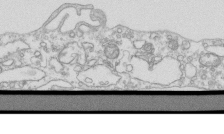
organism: Mouse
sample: Macrophages